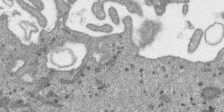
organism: Human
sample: Lung epithelial cells infected with SARS-CoV-2